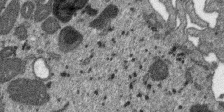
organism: Human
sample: Lung epithelial cells infected with SARS-CoV-2